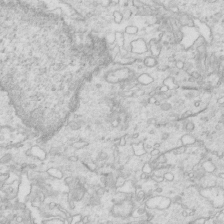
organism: Mouse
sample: Multiciliated cells